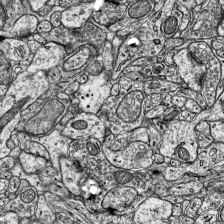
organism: Mouse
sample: Visual Cortex